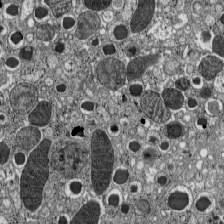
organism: C57BL Mouse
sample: Pancreatic islet